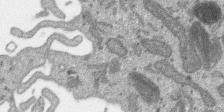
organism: Human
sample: Lung epithelial cells infected with SARS-CoV-2